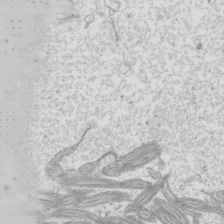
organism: Mouse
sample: Cilia; mouse epididymis